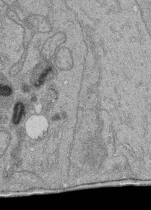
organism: Human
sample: Retinal organoid Rod and Cone cells